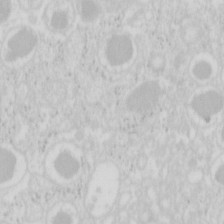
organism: Mouse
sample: Pancreas